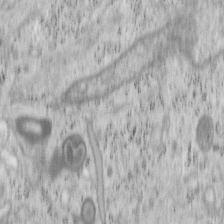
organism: Human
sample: HeLa cells